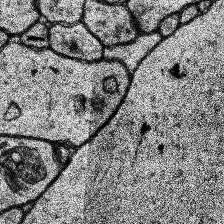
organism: Human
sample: Temporal Lobe